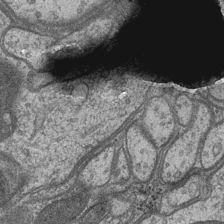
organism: Drosophila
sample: Optic medulla